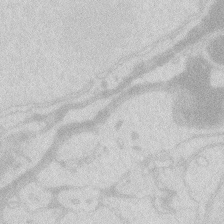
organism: Zebrafish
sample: Macrophage